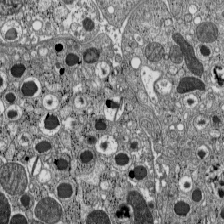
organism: C57BL Mouse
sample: Pancreatic islet